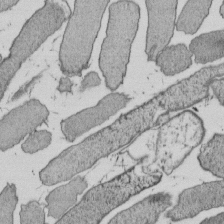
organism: E. coli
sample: Bacterial nucleoid